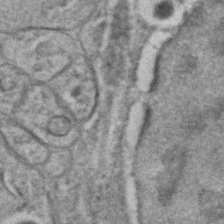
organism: C. elegans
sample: C. elegans embryo